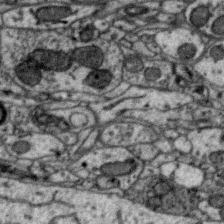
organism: Zebra finch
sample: Brain